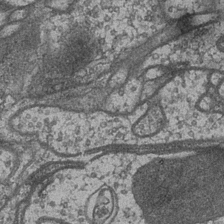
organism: Drosophila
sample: Optic medulla